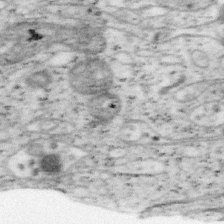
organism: Mouse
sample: OT-I killer T cells with ID8 ovarian cancer cells